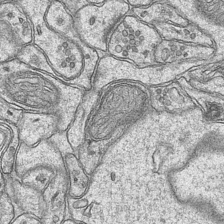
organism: Mouse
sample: CA1 Hippocampus